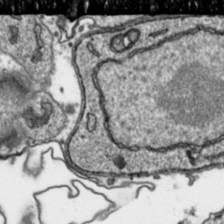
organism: Toxoplasma gondii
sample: Parasites in a vacuole inside a host cell